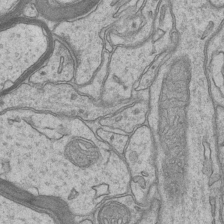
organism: Mouse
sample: CA1 Hippocampus